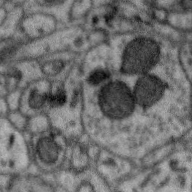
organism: Zebra finch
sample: Brain